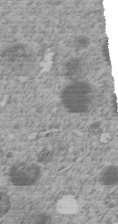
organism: C. elegans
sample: C. elegans embryo early stage